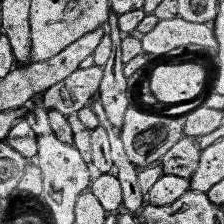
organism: Human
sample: Temporal Lobe